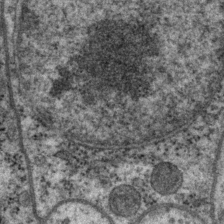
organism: P. pacificus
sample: Pharynx